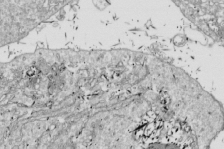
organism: Drosophila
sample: Cell division; meiosis; drosophila spermatocytes